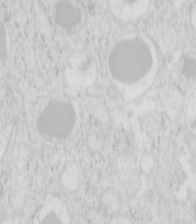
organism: Mouse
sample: Pancreas